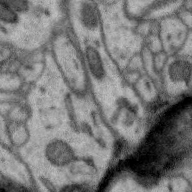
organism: Zebra finch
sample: Brain